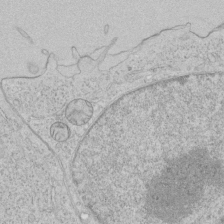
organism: Human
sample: Mitochondria in HCT116 cells